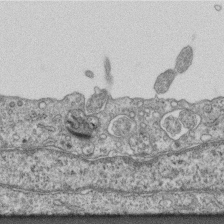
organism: Mouse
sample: Centriole in ependymal cells